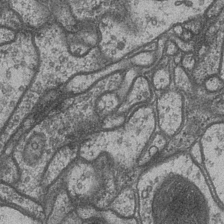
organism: Drosophila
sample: Optic medulla